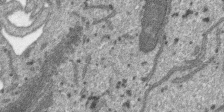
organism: Human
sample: Lung epithelial cells infected with SARS-CoV-2